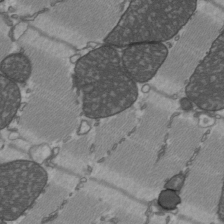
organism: C57BL Mouse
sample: Heart